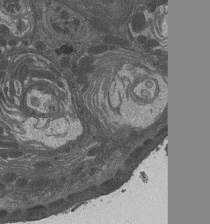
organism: Drosophila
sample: Antenna